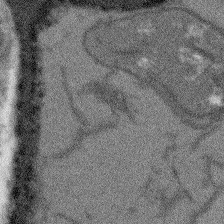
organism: Arabidopsis thaliana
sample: Root tip